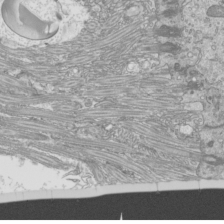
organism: Mouse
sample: Cilia; mouse epididymis